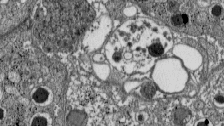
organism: C57BL Mouse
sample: Pancreatic islet